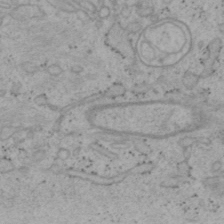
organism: Human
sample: HeLa cells